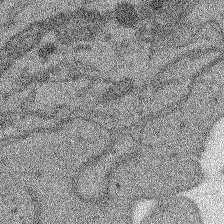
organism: Human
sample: HeLa cells